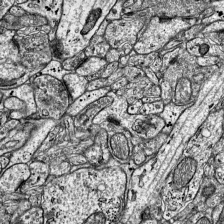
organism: Mouse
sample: Visual Cortex